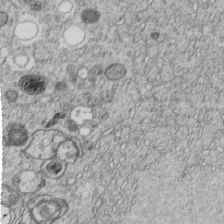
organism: C. elegans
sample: C. elegans embryo early stage